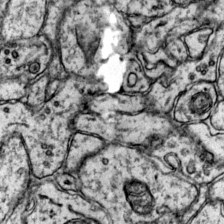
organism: Mouse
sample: Primary visual cortex